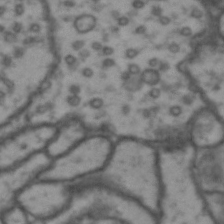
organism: Drosophila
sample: Brain